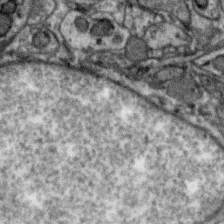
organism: Zebra finch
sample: Brain